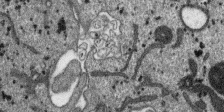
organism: Human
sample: Lung epithelial cells infected with SARS-CoV-2